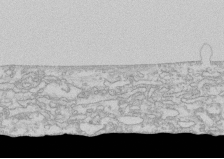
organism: Human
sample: CRL-1474